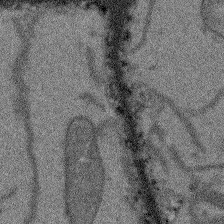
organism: Arabidopsis thaliana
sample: Root tip